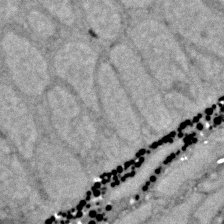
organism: Zebrafish